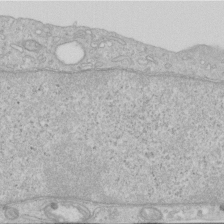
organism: Human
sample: Centriole in RPE cells